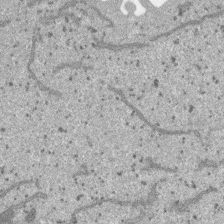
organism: Human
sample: Lung epithelial cells infected with SARS-CoV-2